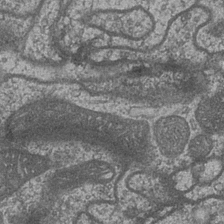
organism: Drosophila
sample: Optic medulla